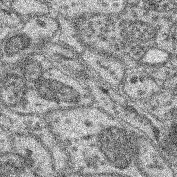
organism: Mouse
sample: Retina